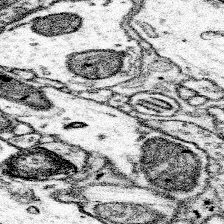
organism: Mouse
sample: Somatosensory cortex neuropil